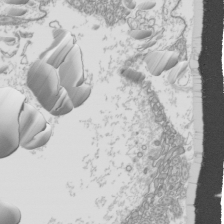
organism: Mouse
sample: Cilia; mouse epididymis